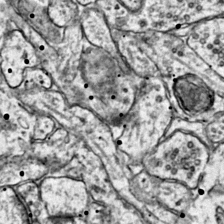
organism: Mouse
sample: Primary visual cortex